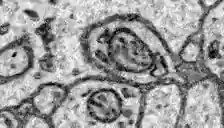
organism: Zebrafish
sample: Brain